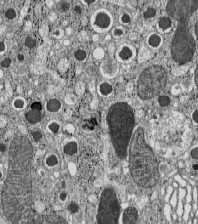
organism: C57BL Mouse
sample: Pancreatic islet